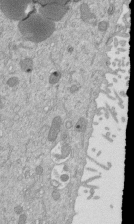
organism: Mouse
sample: ED-1 cell nuclei; centrioles